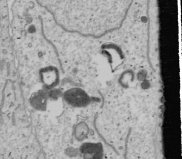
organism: Human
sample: Mitochondria in U2OS cells